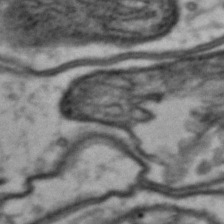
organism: Drosophila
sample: Brain